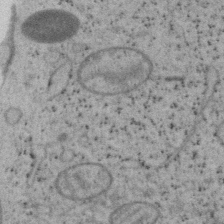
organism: Human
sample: HeLa cells